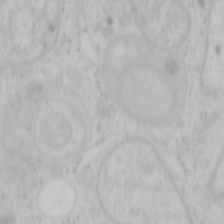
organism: Mouse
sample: OT-I killer T cells with ID8 ovarian cancer cells